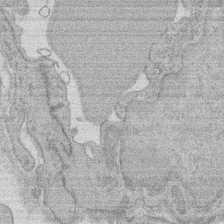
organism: Rat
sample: Salivary granule